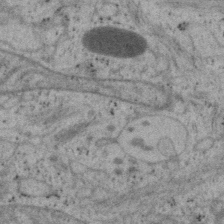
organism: Human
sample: HeLa cells